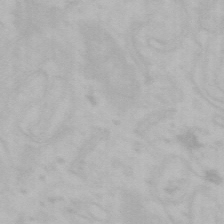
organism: Mouse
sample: Choroid plexus